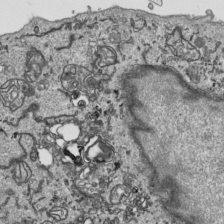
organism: Human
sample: Mitochondria in HCT116 cells